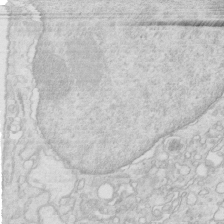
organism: Mouse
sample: Multiciliated cells